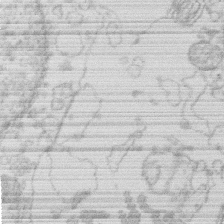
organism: Human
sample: Macrophage cells